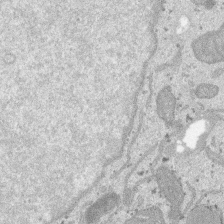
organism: Human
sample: Lung epithelial cells infected with SARS-CoV-2